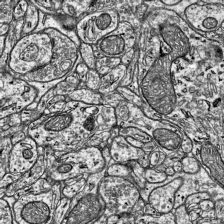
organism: Mouse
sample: Visual Cortex